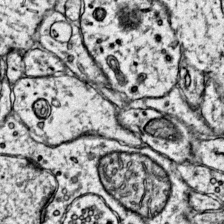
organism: Mouse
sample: Primary visual cortex